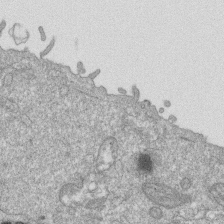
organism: Human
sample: HeLa cell HIV synapse